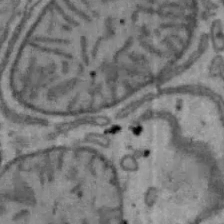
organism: Mouse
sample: Liver